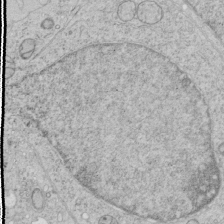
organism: Human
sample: Mitochondria in HCT116 cells